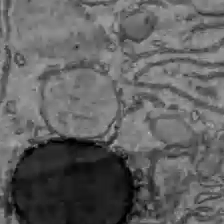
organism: C57BL Mouse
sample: Liver